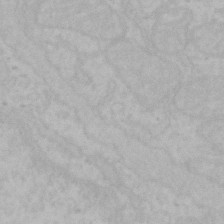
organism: Mouse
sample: Choroid plexus